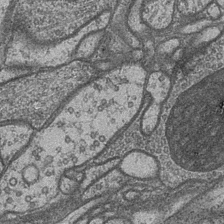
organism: Drosophila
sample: Optic medulla